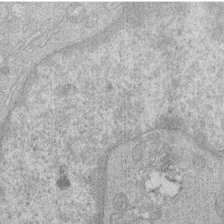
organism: Human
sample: Macrophage cells